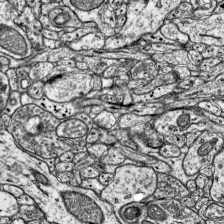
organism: Mouse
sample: Visual Cortex